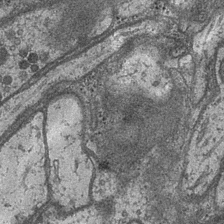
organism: Drosophila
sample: Optic medulla